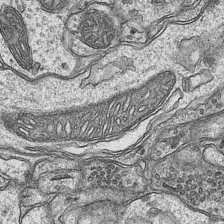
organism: Mouse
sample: CA1 Hippocampus